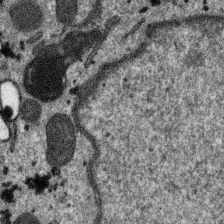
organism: Human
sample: Lung epithelial cells infected with SARS-CoV-2